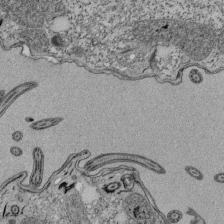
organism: Tetrahymena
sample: Cilia in tetrahymena